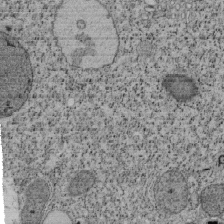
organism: Tetrahymena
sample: Cilia in tetrahymena